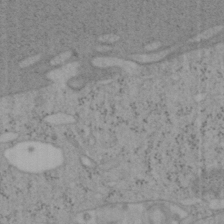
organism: Mouse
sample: OT-I killer T cells with ID8 ovarian cancer cells